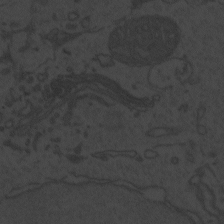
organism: Zebrafish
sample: Macrophage infected with Toxoplasma gondii